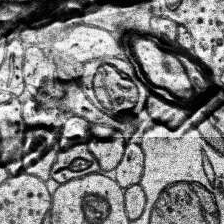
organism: Human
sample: Temporal Lobe